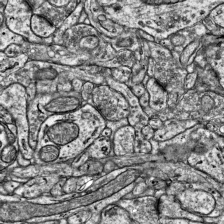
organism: Mouse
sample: Visual Cortex